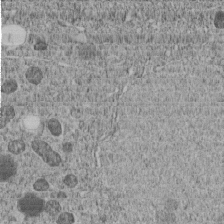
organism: C. elegans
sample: C. elegans embryo early stage